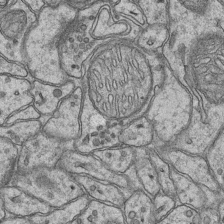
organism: Mouse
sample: CA1 Hippocampus